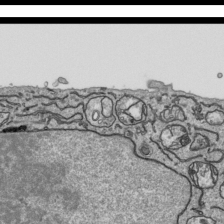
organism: Human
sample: Mitochondria in HCT116 cells